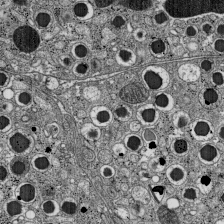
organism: C57BL Mouse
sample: Pancreatic islet